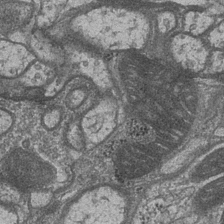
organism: Drosophila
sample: Optic medulla